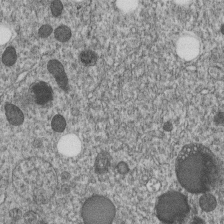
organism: C. elegans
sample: C. elegans embryo early stage